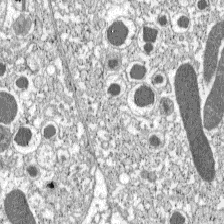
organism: C57BL Mouse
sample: Pancreatic islet